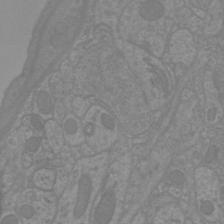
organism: Mouse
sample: Cortical neurons